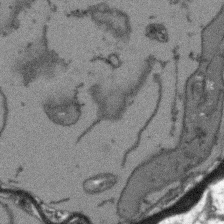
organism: Arabidopsis thaliana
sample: Root tip